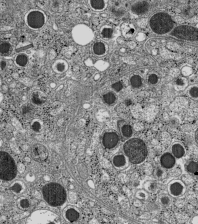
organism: C57BL Mouse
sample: Pancreatic islet